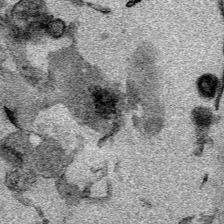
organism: Mouse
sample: Cancer cell death in ED-1 cells